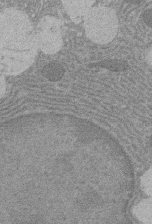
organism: Rat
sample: Salivary granule